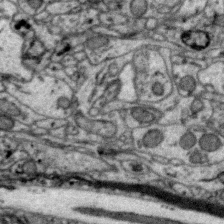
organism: Zebra finch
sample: Brain